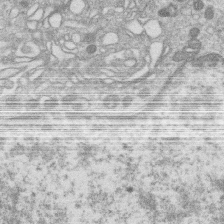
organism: Human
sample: Macrophage cells